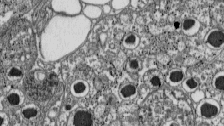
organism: C57BL Mouse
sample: Pancreatic islet